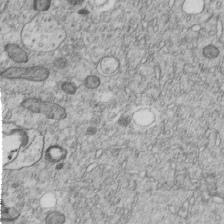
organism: C. elegans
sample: C. elegans embryo early stage